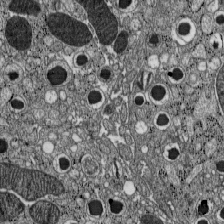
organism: C57BL Mouse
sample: Pancreatic islet